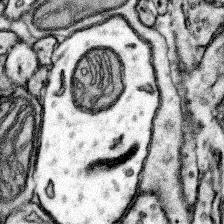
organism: Mouse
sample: Somatosensory cortex neuropil